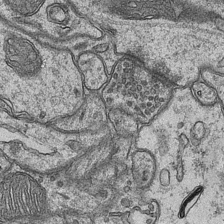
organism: Mouse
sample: CA1 Hippocampus